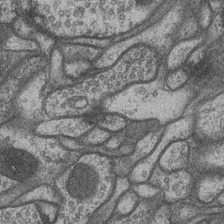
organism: Drosophila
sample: Optic medulla